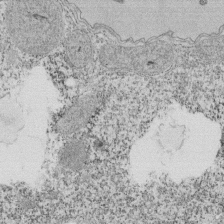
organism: Tetrahymena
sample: Cilia in tetrahymena